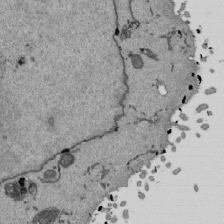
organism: Mouse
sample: ED-1 cell nuclei; centrioles